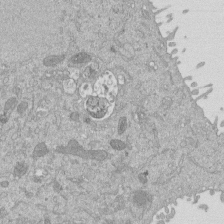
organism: Mouse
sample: ED-1 cell nuclei; centrioles